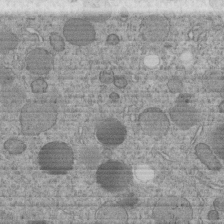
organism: C. elegans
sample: C. elegans embryo early stage